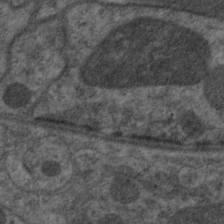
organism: C. elegans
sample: Pharynx